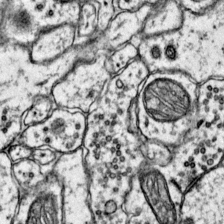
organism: Mouse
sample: Primary visual cortex